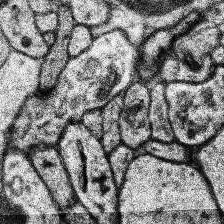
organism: Human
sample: Temporal Lobe